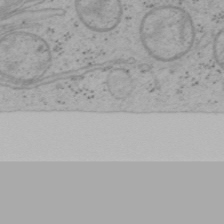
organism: Human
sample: HeLa cells